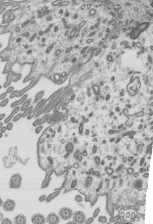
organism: Mouse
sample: Mouse epididymis efferent ductule cilia